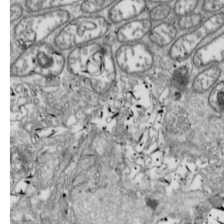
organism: Drosophila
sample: Cell division; meiosis; drosophila spermatocytes